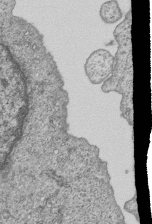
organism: Human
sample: MDA-MB-231 cells